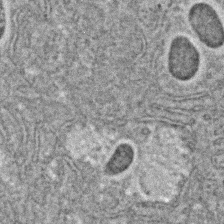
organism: C. elegans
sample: C. elegans embryo